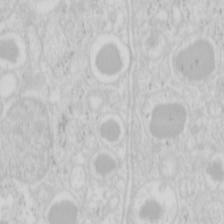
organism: Mouse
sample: Pancreas